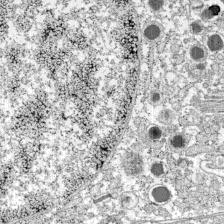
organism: C57BL Mouse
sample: Pancreatic islet